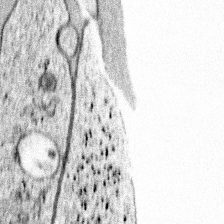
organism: Human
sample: HeLa cells